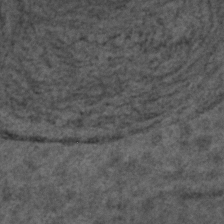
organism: C. elegans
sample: C. elegans embryo